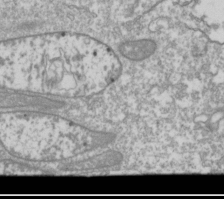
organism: Drosophila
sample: Cell division; meiosis; drosophila spermatocytes